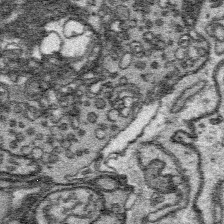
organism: Platynereis dumerilii